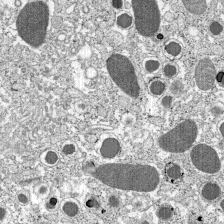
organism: C57BL Mouse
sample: Pancreatic islet